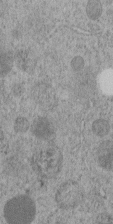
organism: C. elegans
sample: C. elegans embryo early stage